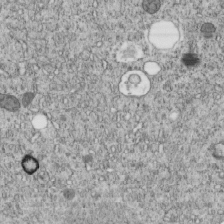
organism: C. elegans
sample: C. elegans embryo early stage